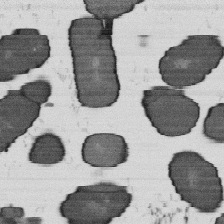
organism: B. subtilis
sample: Bacterial spore